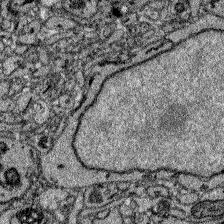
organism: Zebrafish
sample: Larval olfactory bulb